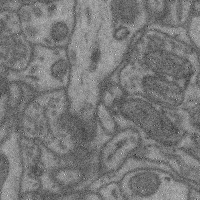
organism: Mouse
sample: Cerebral cortex